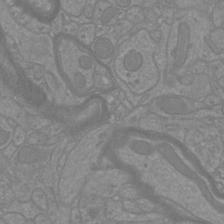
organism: Mouse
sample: Cortical neurons